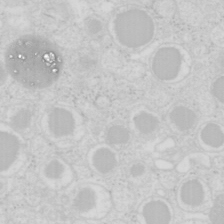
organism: Mouse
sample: Pancreas